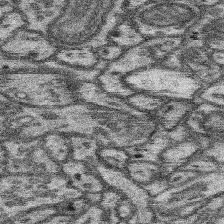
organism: Mouse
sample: Somatosensory cortex neuropil